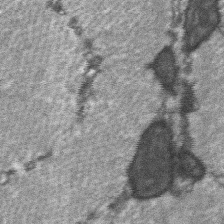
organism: C57BL Mouse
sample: Soleus